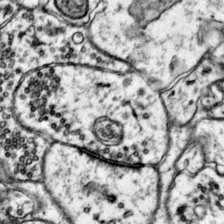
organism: Mouse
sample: Primary visual cortex